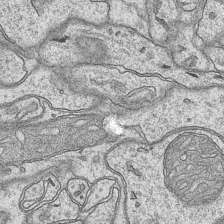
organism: Mouse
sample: CA1 Hippocampus